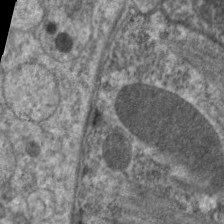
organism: C. elegans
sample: Pharynx